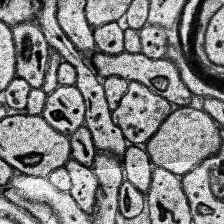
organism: Human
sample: Temporal Lobe